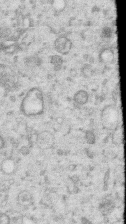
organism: Human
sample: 1205lu cells